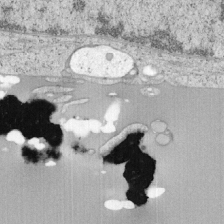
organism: Human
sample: HeLa cells